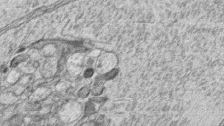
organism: Zebrafish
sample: synaptic ribbons in rod cells and cone cells